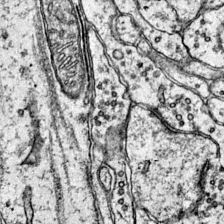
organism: Mouse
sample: Primary visual cortex